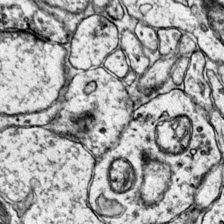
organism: Mouse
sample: Primary visual cortex